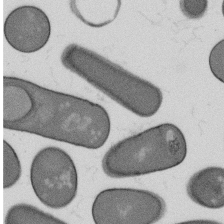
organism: B. subtilis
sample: Bacterial spore